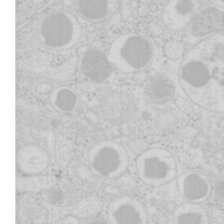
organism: Mouse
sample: Pancreas